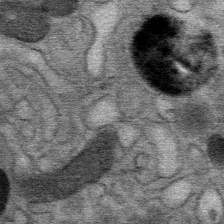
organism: Mouse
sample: Mouse Salivary gland